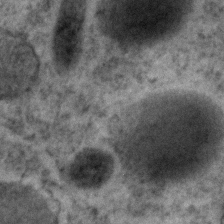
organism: C. elegans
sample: C. elegans embryo